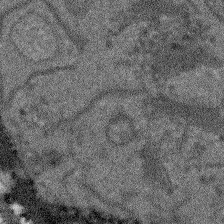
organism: Arabidopsis thaliana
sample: Root tip